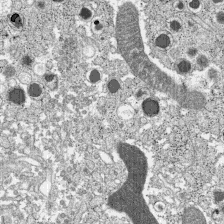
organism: C57BL Mouse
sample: Pancreatic islet